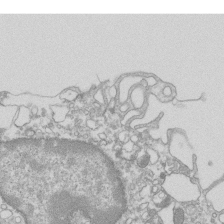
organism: Mouse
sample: Macrophages